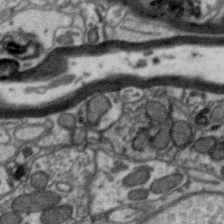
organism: Zebra finch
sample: Brain